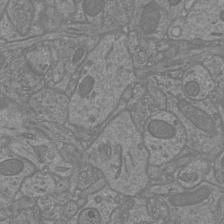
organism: Mouse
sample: Cortical neurons